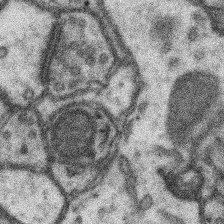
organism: Mouse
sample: Somatosensory cortex neuropil